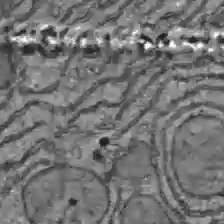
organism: C57BL Mouse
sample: Liver